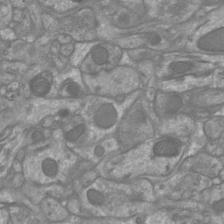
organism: Mouse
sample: Cortical neurons